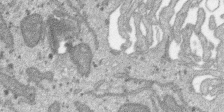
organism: Human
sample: Lung epithelial cells infected with SARS-CoV-2